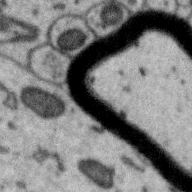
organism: Zebra finch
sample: Brain